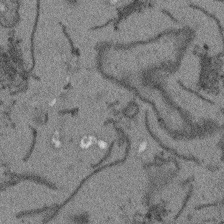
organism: Arabidopsis thaliana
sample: Root tip